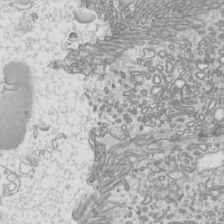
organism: Mouse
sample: Cilia; mouse epididymis